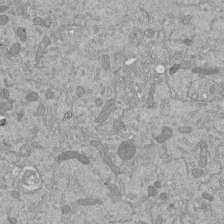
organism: Mouse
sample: ED-1 cell nuclei; centrioles